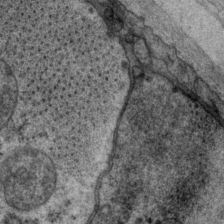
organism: P. pacificus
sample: Pharynx